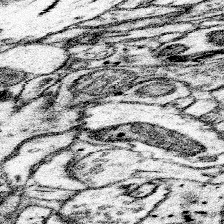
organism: Mouse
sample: Somatosensory cortex neuropil